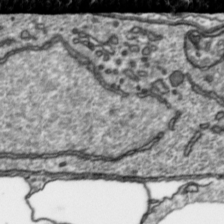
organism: Toxoplasma gondii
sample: Parasites in a vacuole inside a host cell